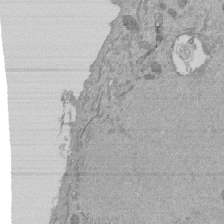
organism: Mouse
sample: ED-1 cell nuclei; centrioles